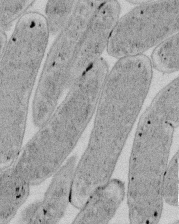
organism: E. coli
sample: Bacterial nucleoid